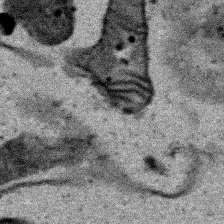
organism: Human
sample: Mitochondria in HCT116 cells